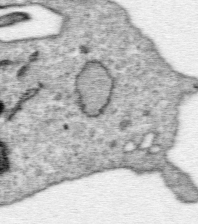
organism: Human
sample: HeLa cells